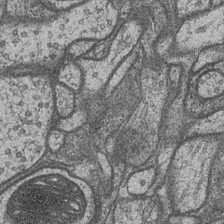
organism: Drosophila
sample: Optic medulla